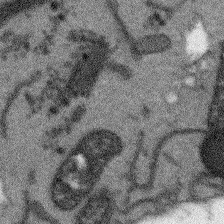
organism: Arabidopsis thaliana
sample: Root tip